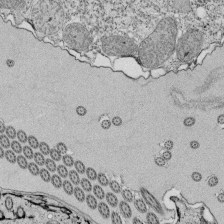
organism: Tetrahymena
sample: Cilia in tetrahymena